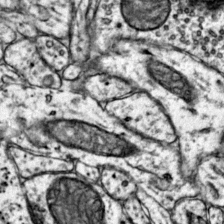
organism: Mouse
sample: Primary visual cortex